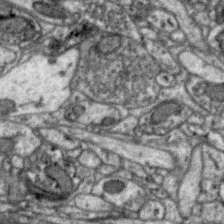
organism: Zebra finch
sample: Brain